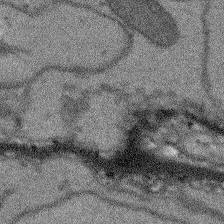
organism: Arabidopsis thaliana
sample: Root tip